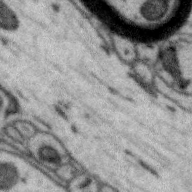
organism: Zebra finch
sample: Brain